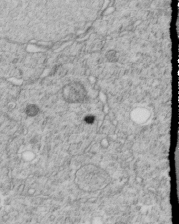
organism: C. elegans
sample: C. elegans embryo early stage